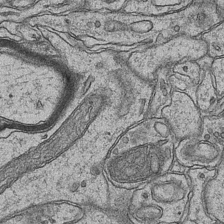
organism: Mouse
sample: CA1 Hippocampus